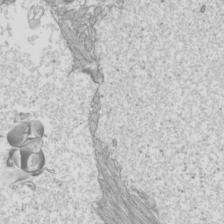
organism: Mouse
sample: Cilia; mouse epididymis